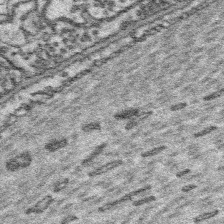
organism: Platynereis dumerilii